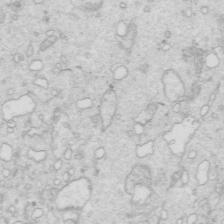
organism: Mouse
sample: Multiciliated cells